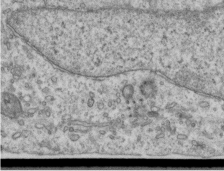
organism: Human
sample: Centriole in RPE cells